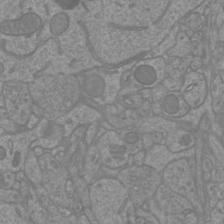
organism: Mouse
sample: Cortical neurons